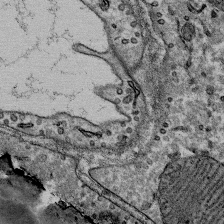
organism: Mouse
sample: Mouse Salivary gland